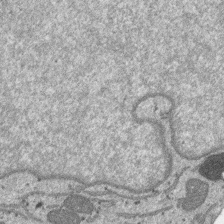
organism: Human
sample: Lung epithelial cells infected with SARS-CoV-2